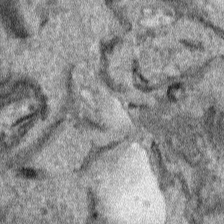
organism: Human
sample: Mitochondria in HCT116 cells